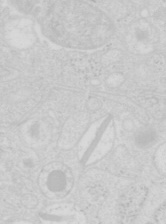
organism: Mouse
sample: Pancreas